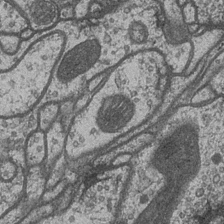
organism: Drosophila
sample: Optic medulla